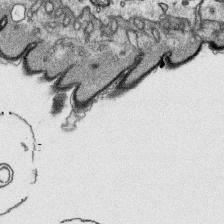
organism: Platynereis dumerilii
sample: Parapodia